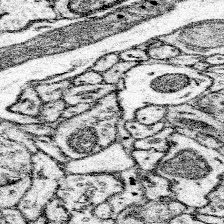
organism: Mouse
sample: Somatosensory cortex neuropil